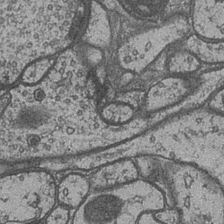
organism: Drosophila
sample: Optic medulla